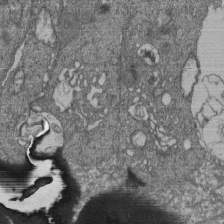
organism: Human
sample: Retinal organoid Rod and Cone cells